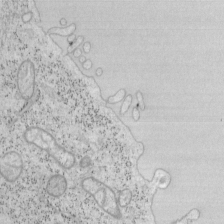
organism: Mouse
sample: OT-I killer T cells with ID8 ovarian cancer cells